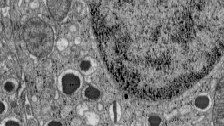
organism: C57BL Mouse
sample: Pancreatic islet